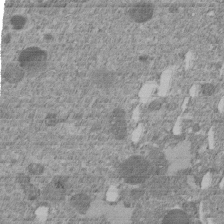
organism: C. elegans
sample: C. elegans embryo early stage